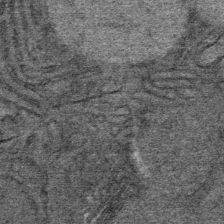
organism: Mouse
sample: Mouse Salivary gland